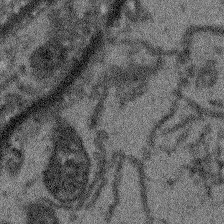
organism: Arabidopsis thaliana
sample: Root tip